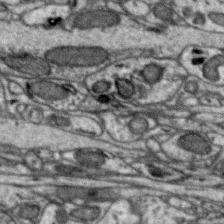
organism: Zebra finch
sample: Brain